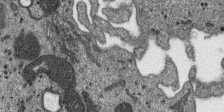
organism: Human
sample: Lung epithelial cells infected with SARS-CoV-2